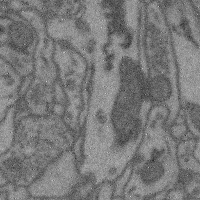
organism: Mouse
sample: Cerebral cortex